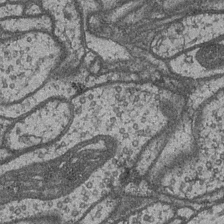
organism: Drosophila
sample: Optic medulla